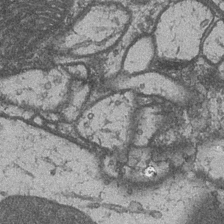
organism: Drosophila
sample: Optic medulla